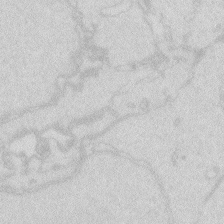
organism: Zebrafish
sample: Macrophage